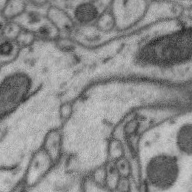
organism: Zebra finch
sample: Brain